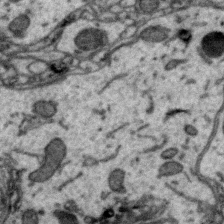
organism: Zebra finch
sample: Brain